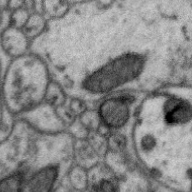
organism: Zebra finch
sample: Brain